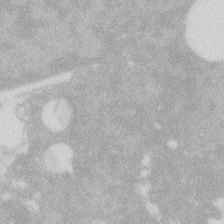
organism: Zebrafish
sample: Macrophage